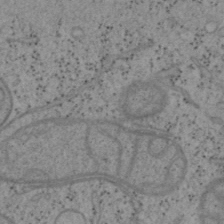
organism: Human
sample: HeLa cells